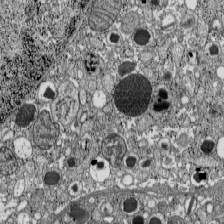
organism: C57BL Mouse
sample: Pancreatic islet